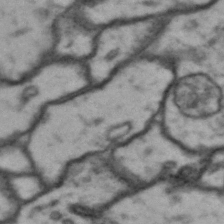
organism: Drosophila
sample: Brain